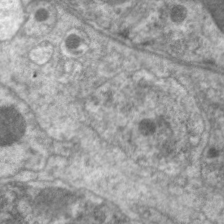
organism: C. elegans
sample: Pharynx